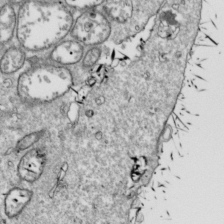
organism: Drosophila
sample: Cell division; meiosis; drosophila spermatocytes